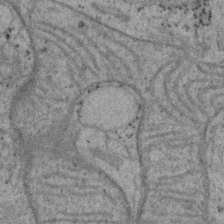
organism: Human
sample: HeLa cells